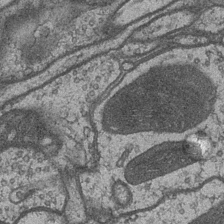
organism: Drosophila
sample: Optic medulla